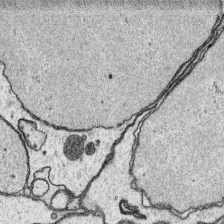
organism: Platynereis dumerilii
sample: Parapodia